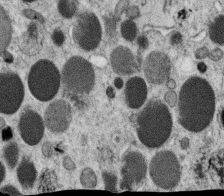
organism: C. elegans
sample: C. elegans oocyte; sperm cells